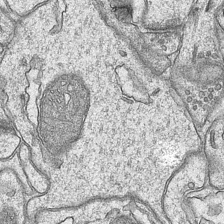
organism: Mouse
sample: CA1 Hippocampus